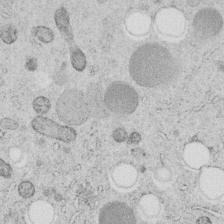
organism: C. elegans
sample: C. elegans embryo early stage